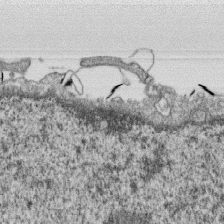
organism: African green monkey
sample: Vero E6 cells infected with SARS-CoV-2